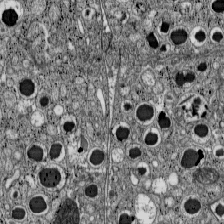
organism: C57BL Mouse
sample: Pancreatic islet